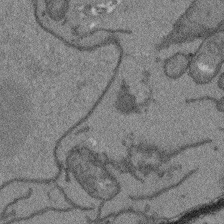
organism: Arabidopsis thaliana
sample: Root tip